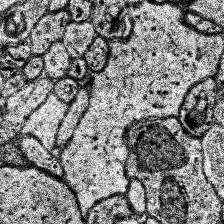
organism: Human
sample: Temporal Lobe